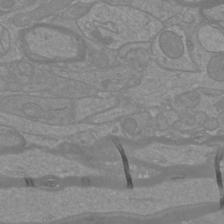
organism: Mouse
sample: Cortical neurons